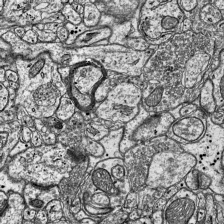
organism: Mouse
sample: Visual Cortex